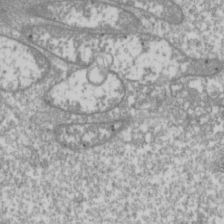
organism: Drosophila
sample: Cell division; meiosis; drosophila spermatocytes